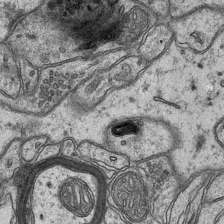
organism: Mouse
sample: CA1 Hippocampus